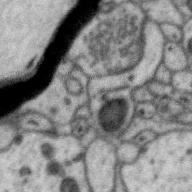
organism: Zebra finch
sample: Brain